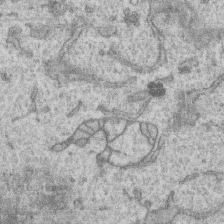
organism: Human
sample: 1205lu cells